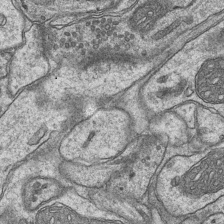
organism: Mouse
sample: CA1 Hippocampus